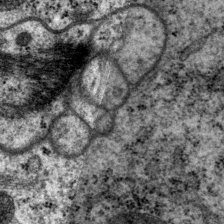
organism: P. pacificus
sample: Pharynx